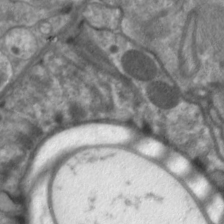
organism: C. elegans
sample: Pharynx